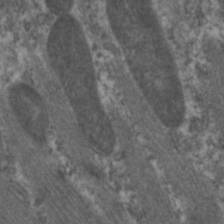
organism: C. elegans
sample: Pharynx